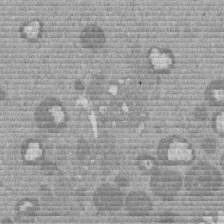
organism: Mouse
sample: Dividing mouse embryo 1 cell stage